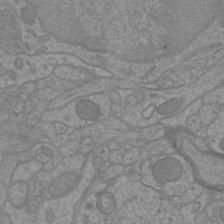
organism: Mouse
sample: Cortical neurons